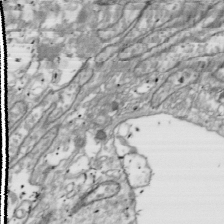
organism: Drosophila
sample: Cell division; meiosis; drosophila spermatocytes